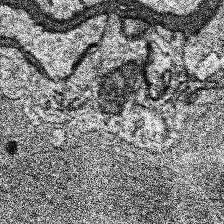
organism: Human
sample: Temporal Lobe